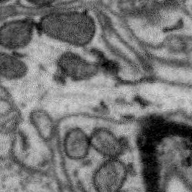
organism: Zebra finch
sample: Brain